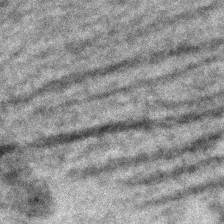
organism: C. elegans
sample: C. elegans embryo